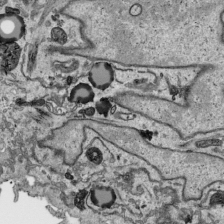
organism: Human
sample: Mitochondria in HCT116 cells